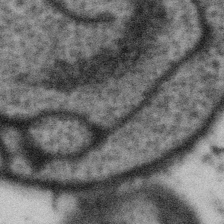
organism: Gemmata obscuriglobus